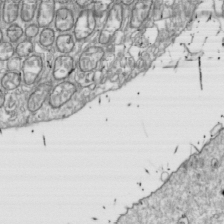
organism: Drosophila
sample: Cell division; meiosis; drosophila spermatocytes